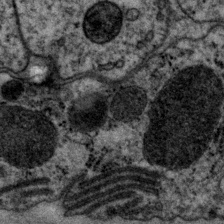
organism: P. pacificus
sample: Pharynx